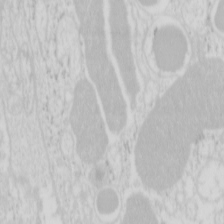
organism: Mouse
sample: Pancreas